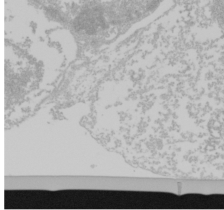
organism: Mouse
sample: Cancer cell death in ED-1 cells